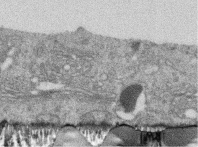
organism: Human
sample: Centriole in RPE cells